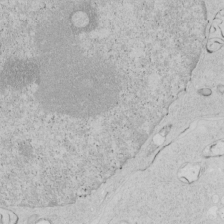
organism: Human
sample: Mitochondria in HCT116 cells